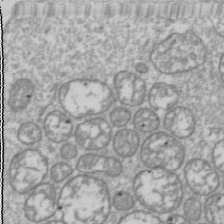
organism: Drosophila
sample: Cell division; meiosis; drosophila spermatocytes